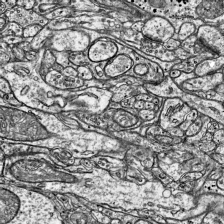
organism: Mouse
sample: Visual Cortex